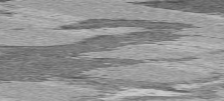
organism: C57BL Mouse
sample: Heart